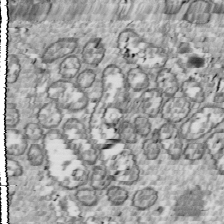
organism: Drosophila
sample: Cell division; meiosis; drosophila spermatocytes